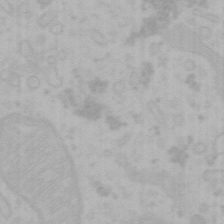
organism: Mouse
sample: Choroid plexus